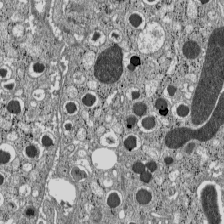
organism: C57BL Mouse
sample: Pancreatic islet